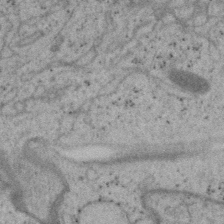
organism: Human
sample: HeLa cells